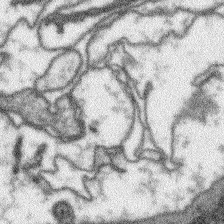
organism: Arabidopsis thaliana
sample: Root tip